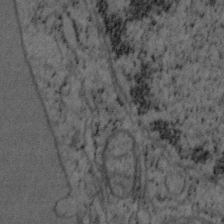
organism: Human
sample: HeLa cells